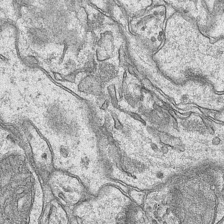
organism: Mouse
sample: CA1 Hippocampus